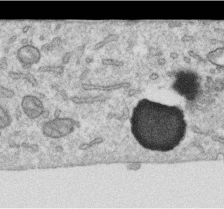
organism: Human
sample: Centriole in RPE cells